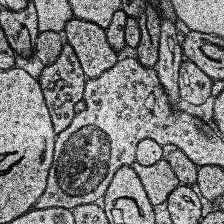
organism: Human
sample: Temporal Lobe